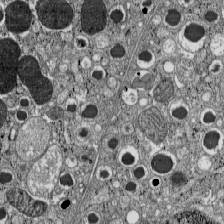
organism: C57BL Mouse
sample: Pancreatic islet